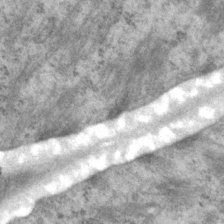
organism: P. pacificus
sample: Pharynx